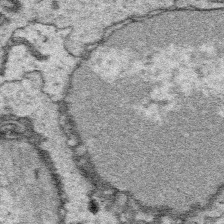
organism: Platynereis dumerilii